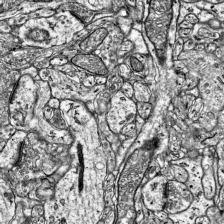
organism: Mouse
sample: Visual Cortex